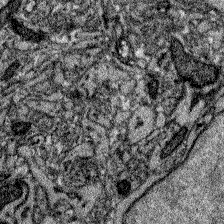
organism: Zebrafish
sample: Larval olfactory bulb